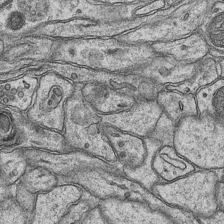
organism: Mouse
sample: CA1 Hippocampus